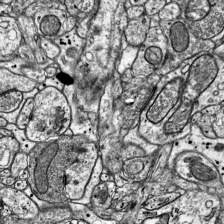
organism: Mouse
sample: Visual Cortex